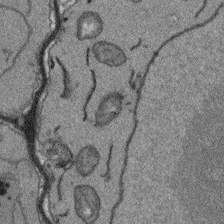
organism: Arabidopsis thaliana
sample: Root tip